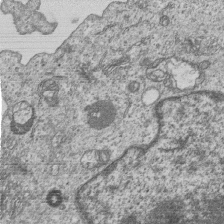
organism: Human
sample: MDA-MB-231 cells